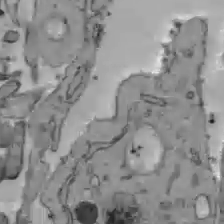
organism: C57BL Mouse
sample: Liver